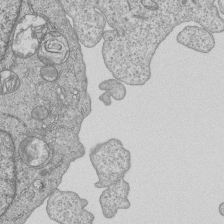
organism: Human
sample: MDA-MB-231 cells